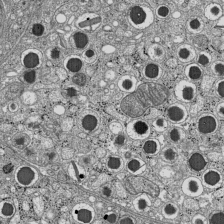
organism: C57BL Mouse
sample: Pancreatic islet